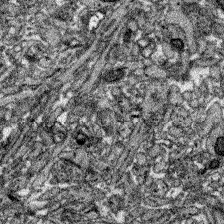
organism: Zebrafish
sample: Larval olfactory bulb